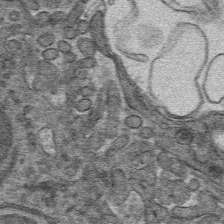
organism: Mouse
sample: Mouse hepatocytes